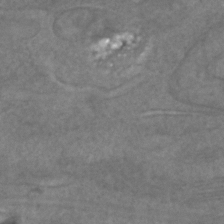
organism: C. elegans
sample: C. elegans embryo